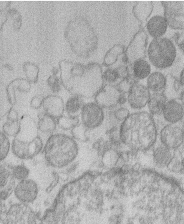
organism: Human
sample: Macrophage cells